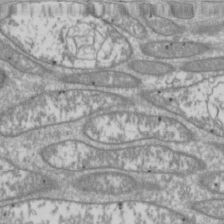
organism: Drosophila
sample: Cell division; meiosis; drosophila spermatocytes